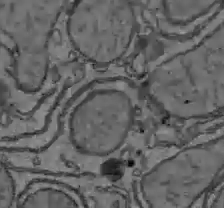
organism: C57BL Mouse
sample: Liver